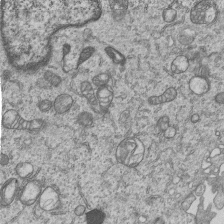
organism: Human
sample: MDA-MB-231 cells